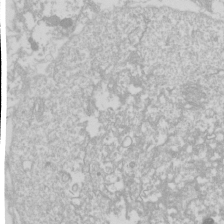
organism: Drosophila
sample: Cell division; meiosis; drosophila spermatocytes